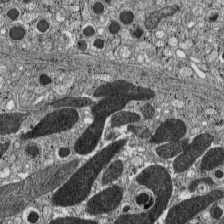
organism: C57BL Mouse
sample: Pancreatic islet